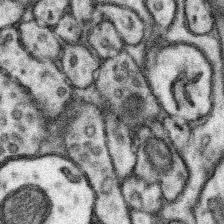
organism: Mouse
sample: Somatosensory cortex neuropil